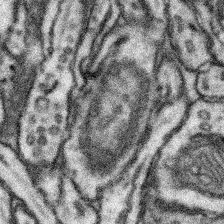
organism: Mouse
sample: Somatosensory cortex neuropil